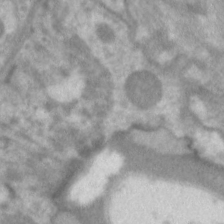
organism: C. elegans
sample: Pharynx